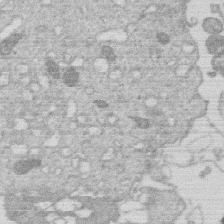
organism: Human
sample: Macrophage cells